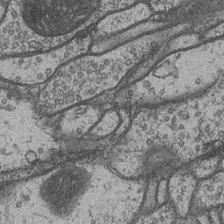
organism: Drosophila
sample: Optic medulla